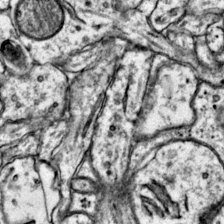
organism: Mouse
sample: Primary visual cortex